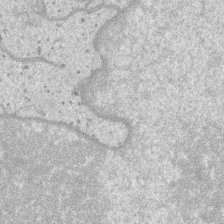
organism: Human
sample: Lung epithelial cells infected with SARS-CoV-2